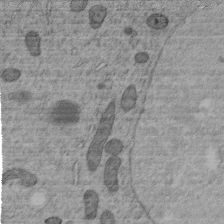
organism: C. elegans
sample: C. elegans embryo early stage